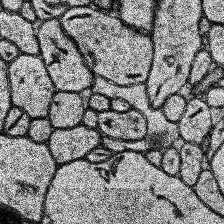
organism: Human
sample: Temporal Lobe